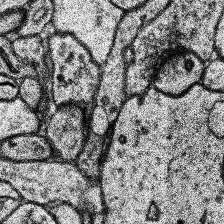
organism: Human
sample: Temporal Lobe